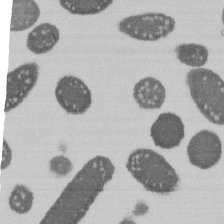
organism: E. coli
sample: Bacterial nucleoid